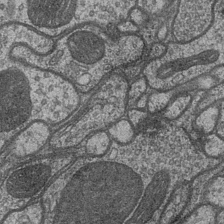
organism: Drosophila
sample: Optic medulla